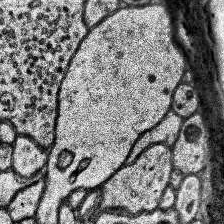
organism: Human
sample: Temporal Lobe